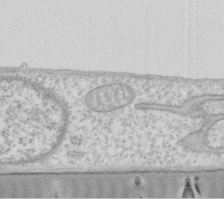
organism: Human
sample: Fibroblast cells